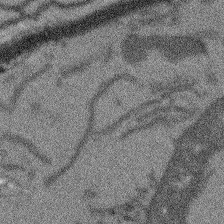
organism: Arabidopsis thaliana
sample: Root tip